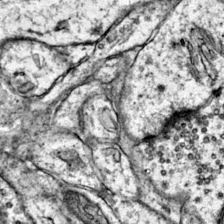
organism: Mouse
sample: Primary visual cortex